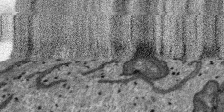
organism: Human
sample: Lung epithelial cells, uninfected (mock) control